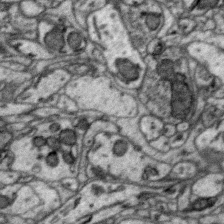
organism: Zebra finch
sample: Brain